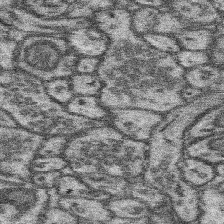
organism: Mouse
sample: Somatosensory cortex neuropil